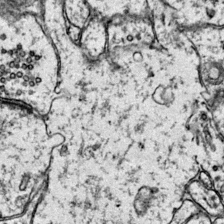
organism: Mouse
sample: Primary visual cortex